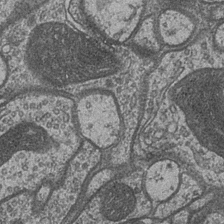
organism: Drosophila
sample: Optic medulla